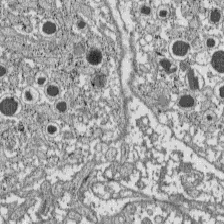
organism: C57BL Mouse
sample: Pancreatic islet